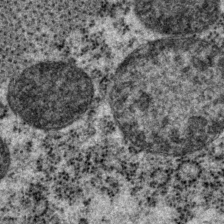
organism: P. pacificus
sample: Pharynx